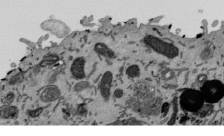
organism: Mouse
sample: ED-1 cell nuclei; centrioles